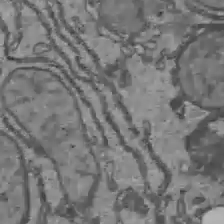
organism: C57BL Mouse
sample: Liver